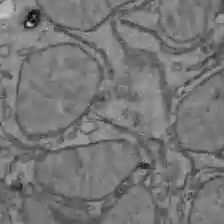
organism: C57BL Mouse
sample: Liver